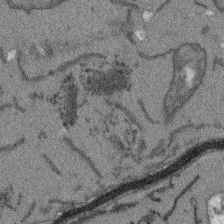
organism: Arabidopsis thaliana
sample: Root tip